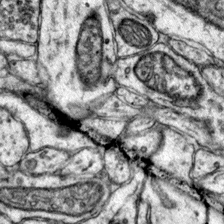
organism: Mouse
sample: Primary visual cortex